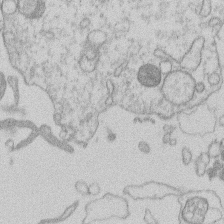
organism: Human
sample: Macrophage cells